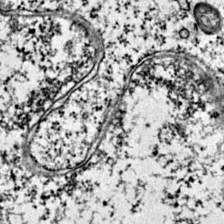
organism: Mouse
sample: Primary visual cortex